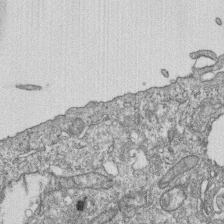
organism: Human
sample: HeLa cell HIV synapse